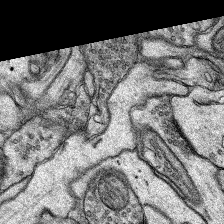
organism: Rat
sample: Hippocampus